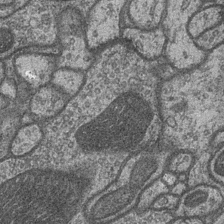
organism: Drosophila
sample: Optic medulla